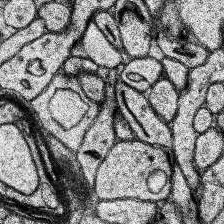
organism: Human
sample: Temporal Lobe